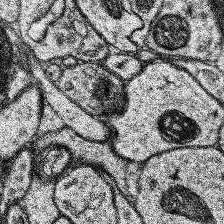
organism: Human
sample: Temporal Lobe